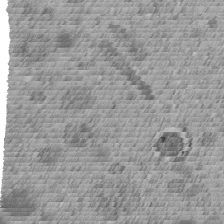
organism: C. elegans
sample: C. elegans embryo early stage